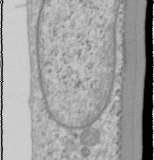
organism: Human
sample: Cilia; basal body in RPE cells